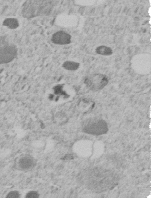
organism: C. elegans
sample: C. elegans embryo early stage